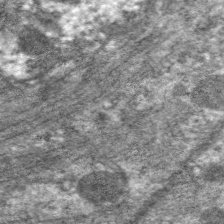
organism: C. elegans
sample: Pharynx